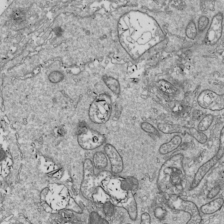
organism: Drosophila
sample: Cell division; meiosis; drosophila spermatocytes